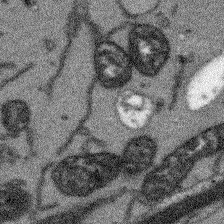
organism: Arabidopsis thaliana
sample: Root tip